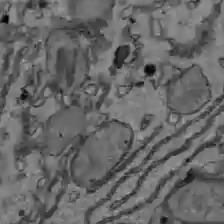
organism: C57BL Mouse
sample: Liver